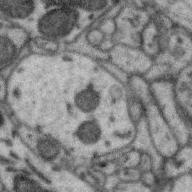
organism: Zebra finch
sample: Brain